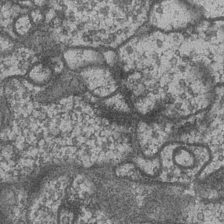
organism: Drosophila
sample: Optic medulla